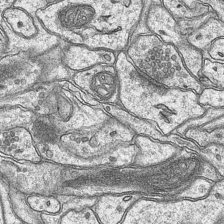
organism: Mouse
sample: CA1 Hippocampus